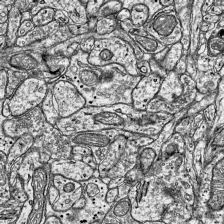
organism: Mouse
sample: Visual Cortex